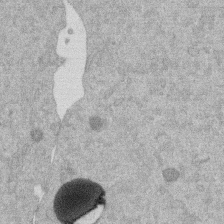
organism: Mouse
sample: Dividing mouse embryo 1 cell stage